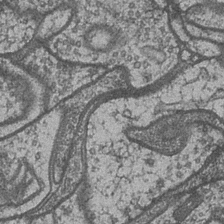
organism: Drosophila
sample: Optic medulla